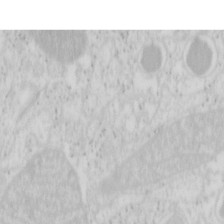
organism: Mouse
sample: Pancreas